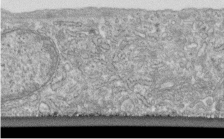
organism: Human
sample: Centriole in fibroblast cells